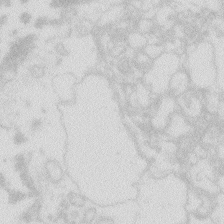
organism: Zebrafish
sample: Macrophage